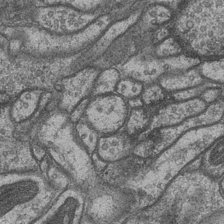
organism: Drosophila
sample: Optic medulla